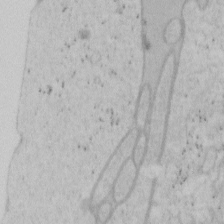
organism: Human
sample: HeLa cells